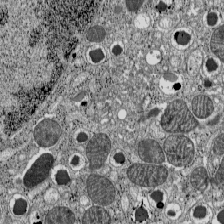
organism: C57BL Mouse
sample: Pancreatic islet